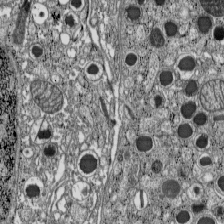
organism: C57BL Mouse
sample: Pancreatic islet